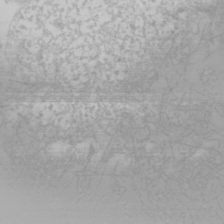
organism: Mouse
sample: Cancer cell death in ED-1 cells